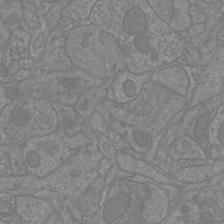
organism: Mouse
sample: Cortical neurons